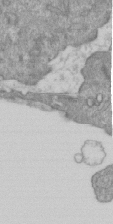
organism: Mouse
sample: ED-1 cell nuclei; centrioles